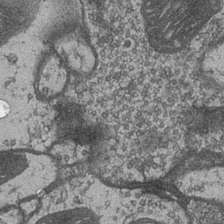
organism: Drosophila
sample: Optic medulla